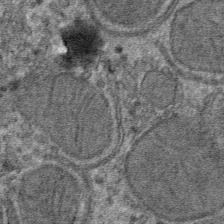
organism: Mouse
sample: Mouse hepatocytes